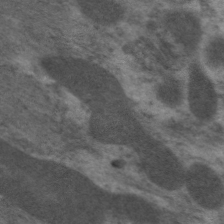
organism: C. elegans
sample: Pharynx